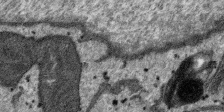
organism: Human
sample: Lung epithelial cells, uninfected (mock) control